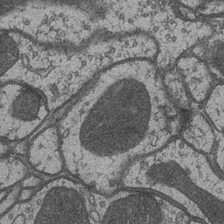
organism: Drosophila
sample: Optic medulla